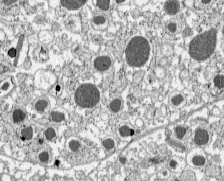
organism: C57BL Mouse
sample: Pancreatic islet